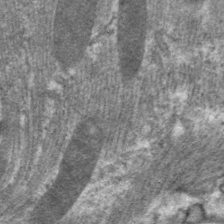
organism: C. elegans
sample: Pharynx